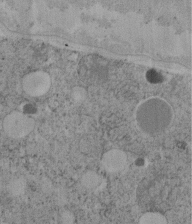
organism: C. elegans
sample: C. elegans embryo early stage